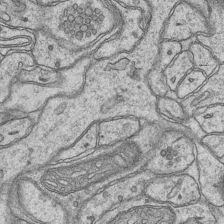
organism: Mouse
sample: CA1 Hippocampus